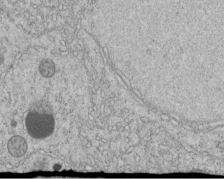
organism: C. elegans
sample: C. elegans embryo early stage